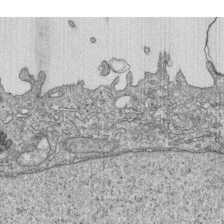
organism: Human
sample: HeLa cell HIV synapse